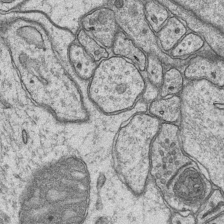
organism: Mouse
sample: CA1 Hippocampus